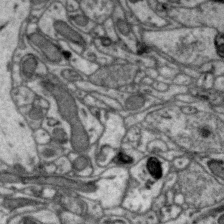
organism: Zebra finch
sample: Brain